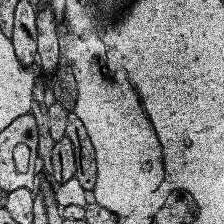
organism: Human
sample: Temporal Lobe